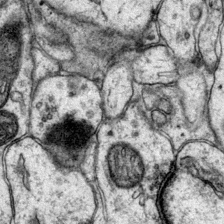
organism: Mouse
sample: Primary visual cortex